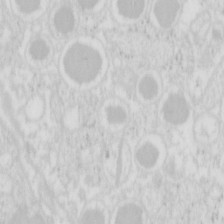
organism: Mouse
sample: Pancreas